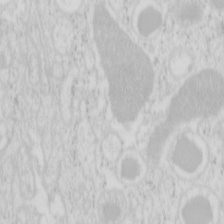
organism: Mouse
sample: Pancreas